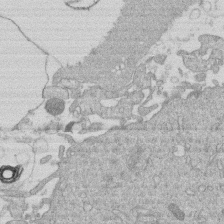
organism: Human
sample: Macrophage cells